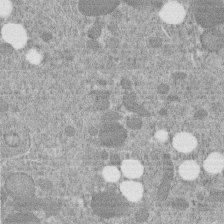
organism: C. elegans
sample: C. elegans embryo early stage